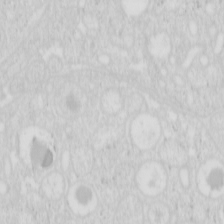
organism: Mouse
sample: Pancreas